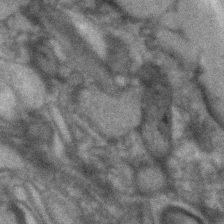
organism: Human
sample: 1205lu cells